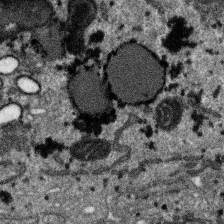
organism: Human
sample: Lung epithelial cells infected with SARS-CoV-2